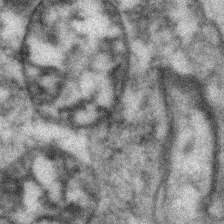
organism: Zebrafish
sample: Zebrafish embryo